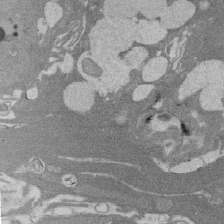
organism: Rat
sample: Salivary granule